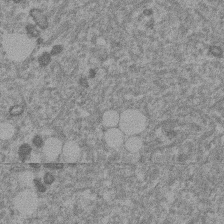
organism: Mouse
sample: Dividing mouse embryo 1 cell stage